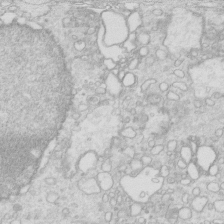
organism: Mouse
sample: Multiciliated cells